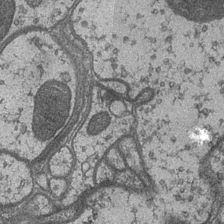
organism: Drosophila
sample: Optic medulla